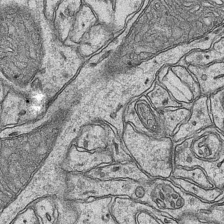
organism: Mouse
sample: CA1 Hippocampus